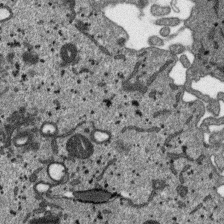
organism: Human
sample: Lung epithelial cells infected with SARS-CoV-2